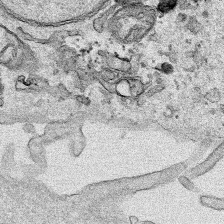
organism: Human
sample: Mitochondria in HCT116 cells